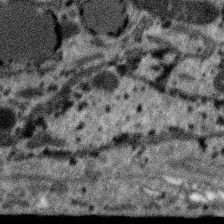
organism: Human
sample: Lung epithelial cells infected with SARS-CoV-2